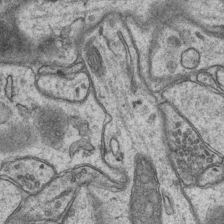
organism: Mouse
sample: CA1 Hippocampus